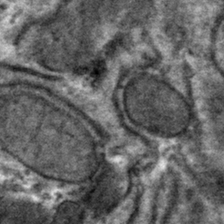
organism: Mouse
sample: Mouse hepatocytes